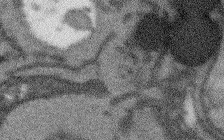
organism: Arabidopsis thaliana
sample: Root tip